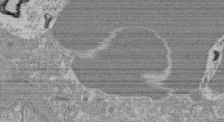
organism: Mouse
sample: Glomerulus